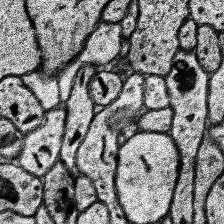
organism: Human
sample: Temporal Lobe